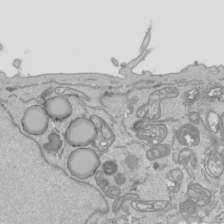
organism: Human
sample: Mitochondria in HCT116 cells